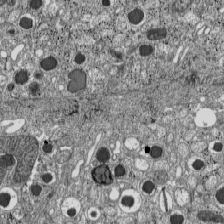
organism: C57BL Mouse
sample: Pancreatic islet